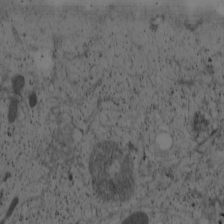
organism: African green monkey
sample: COS-7 cells